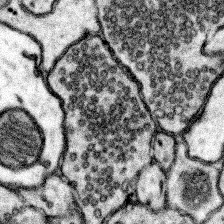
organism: Mouse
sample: Somatosensory cortex neuropil